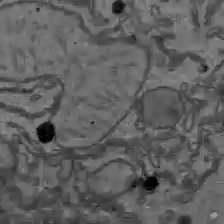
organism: C57BL Mouse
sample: Liver